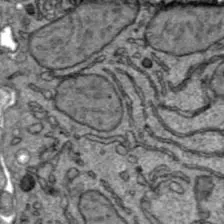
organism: C57BL Mouse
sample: Liver